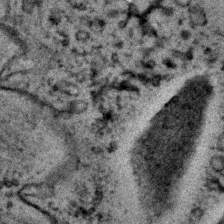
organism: C. elegans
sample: C. elegans embryo